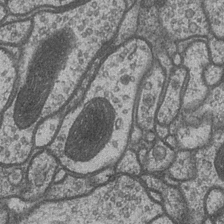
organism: Drosophila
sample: Optic medulla